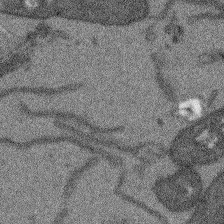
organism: Arabidopsis thaliana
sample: Root tip